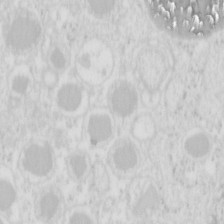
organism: Mouse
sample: Pancreas